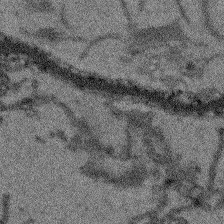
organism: Arabidopsis thaliana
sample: Root tip